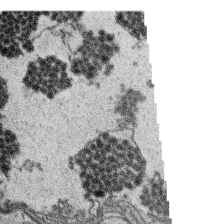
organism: Platynereis dumerilii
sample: Parapodia